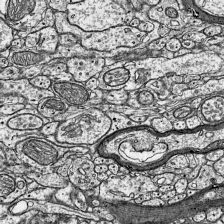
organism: Mouse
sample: Visual Cortex